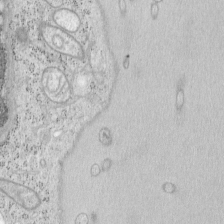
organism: Mouse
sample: OT-I killer T cells with ID8 ovarian cancer cells